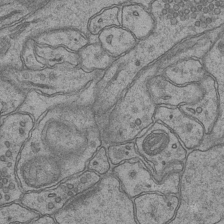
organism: Mouse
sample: CA1 Hippocampus